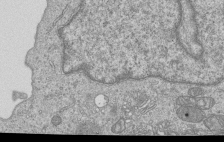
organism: Human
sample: MDA-MB-231 cells